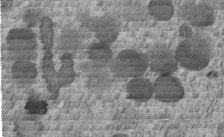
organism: C. elegans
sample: C. elegans embryo early stage